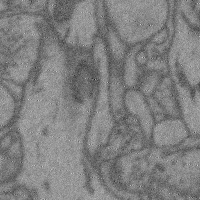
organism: Mouse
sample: Cerebral cortex